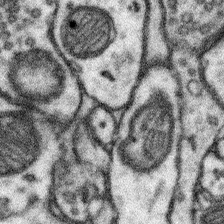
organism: Mouse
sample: Somatosensory cortex neuropil